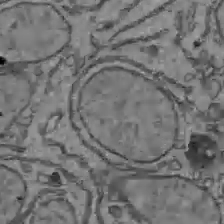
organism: C57BL Mouse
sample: Liver